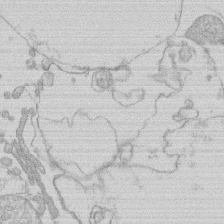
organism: Human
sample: Macrophage cells